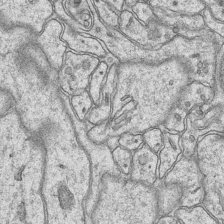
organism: Mouse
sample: CA1 Hippocampus